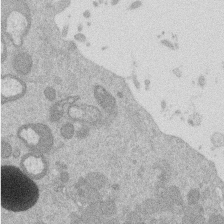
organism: Mouse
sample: Dividing mouse embryo 1 cell stage